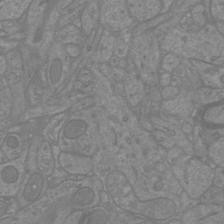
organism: Mouse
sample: Cortical neurons